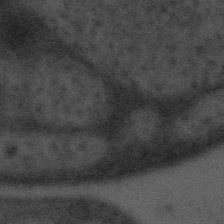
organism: Tuwongella immobilis